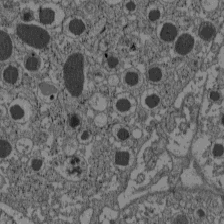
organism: C57BL Mouse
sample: Pancreatic islet